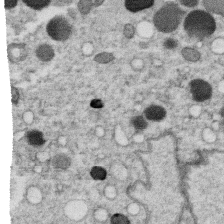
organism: C. elegans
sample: C. elegans oocyte; sperm cells